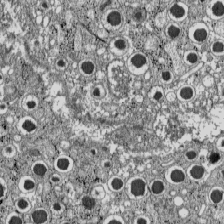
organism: C57BL Mouse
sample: Pancreatic islet